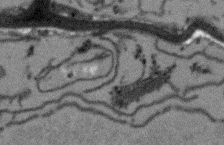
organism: Arabidopsis thaliana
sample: Root tip